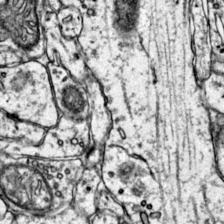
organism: Mouse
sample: Primary visual cortex